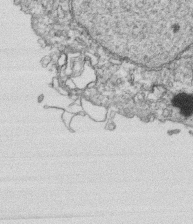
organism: Human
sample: HeLa cell HIV synapse